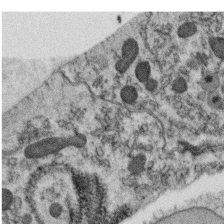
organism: C. elegans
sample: C. elegans oocyte; sperm cells